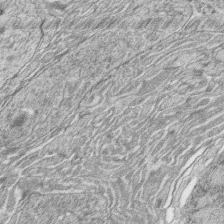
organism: Zebrafish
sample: synaptic ribbons in rod cells and cone cells